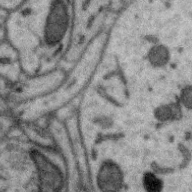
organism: Zebra finch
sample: Brain